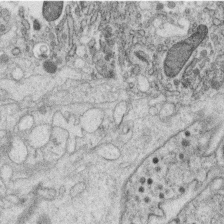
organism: C. elegans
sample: C. elegans oocyte; sperm cells